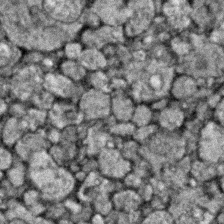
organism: Zebrafish